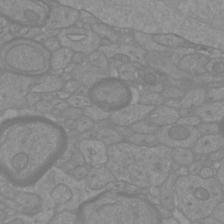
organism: Mouse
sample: Cortical neurons